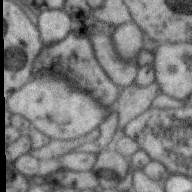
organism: Zebra finch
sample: Brain